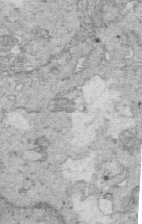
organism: Mouse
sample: Multiciliated cells